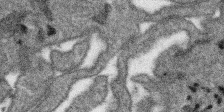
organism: Human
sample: Lung epithelial cells infected with SARS-CoV-2